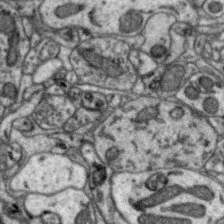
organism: Zebra finch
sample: Brain